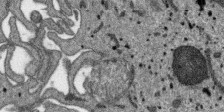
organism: Human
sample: Lung epithelial cells, uninfected (mock) control